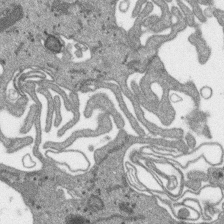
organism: Human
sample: Lung epithelial cells infected with SARS-CoV-2